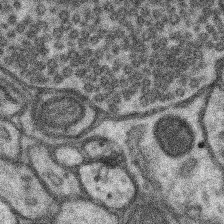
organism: Mouse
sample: Somatosensory cortex neuropil